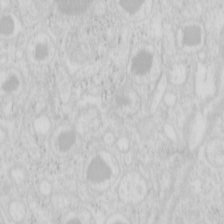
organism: Mouse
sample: Pancreas